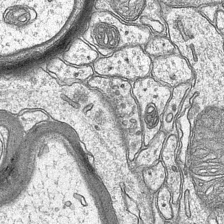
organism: Mouse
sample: CA1 Hippocampus